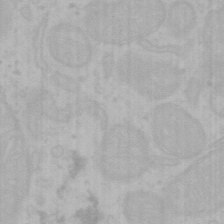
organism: Mouse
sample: Choroid plexus